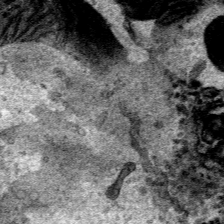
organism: Human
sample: Mitochondria in HCT116 cells